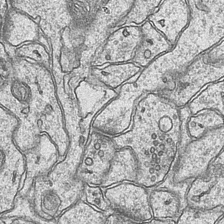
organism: Mouse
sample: CA1 Hippocampus